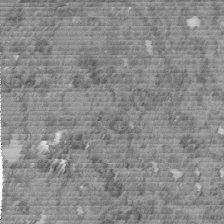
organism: C. elegans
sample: C. elegans embryo early stage